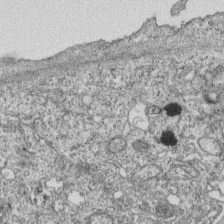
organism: Human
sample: HeLa cell HIV synapse